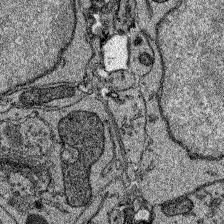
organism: Zebrafish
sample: Larval olfactory bulb